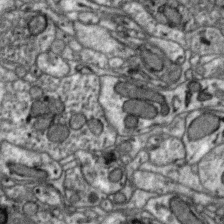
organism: Zebra finch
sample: Brain